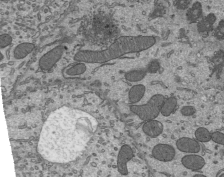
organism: Mouse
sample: Mouse epididymis efferent ductule cilia